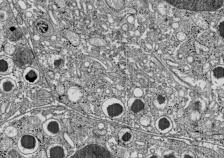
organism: C57BL Mouse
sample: Pancreatic islet